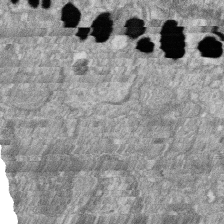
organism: Zebrafish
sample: Cilia; retinal pigment epithelium